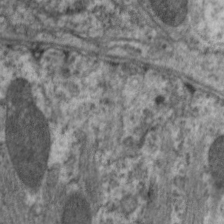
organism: C. elegans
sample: Pharynx